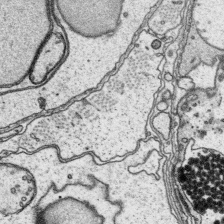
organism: Platynereis dumerilii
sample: Parapodia